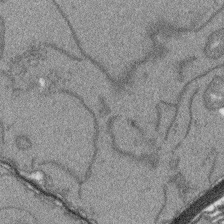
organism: Arabidopsis thaliana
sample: Root tip